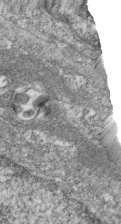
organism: Zebrafish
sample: Cilia; retinal pigment epithelium